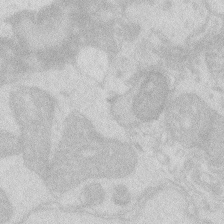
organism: Zebrafish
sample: Macrophage